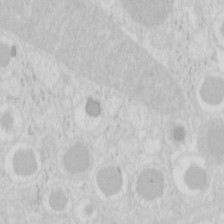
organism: Mouse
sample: Pancreas